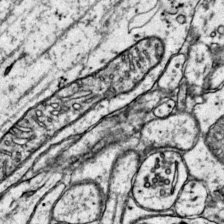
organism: Mouse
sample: Primary visual cortex